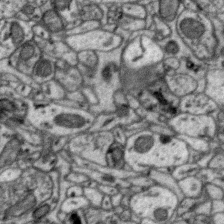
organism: Zebra finch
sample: Brain